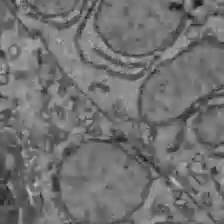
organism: C57BL Mouse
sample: Liver